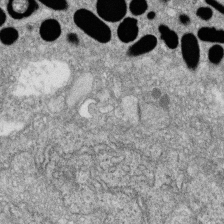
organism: Zebrafish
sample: Cilia; retinal pigment epithelium